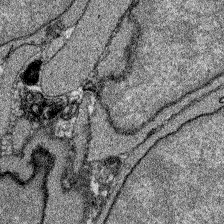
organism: Zebrafish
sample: Larval olfactory bulb